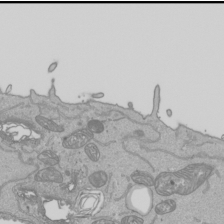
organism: Human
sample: Mitochondria in HCT116 cells